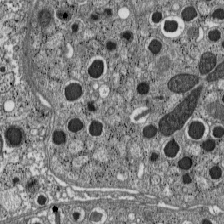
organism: C57BL Mouse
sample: Pancreatic islet